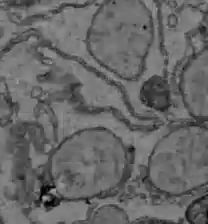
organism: C57BL Mouse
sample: Liver